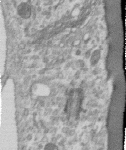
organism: Human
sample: Centriole in RPE cells